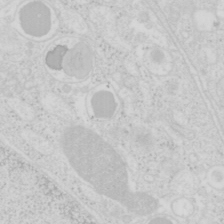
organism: Mouse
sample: Pancreas